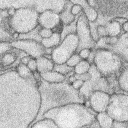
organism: Rabbit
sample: Retina